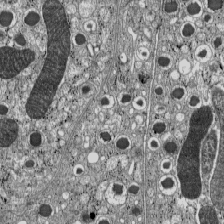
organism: C57BL Mouse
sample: Pancreatic islet